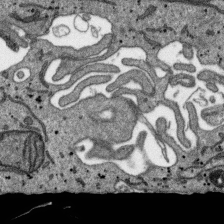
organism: Human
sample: Lung epithelial cells, uninfected (mock) control